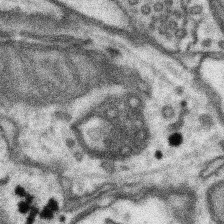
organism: Mouse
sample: Somatosensory cortex neuropil